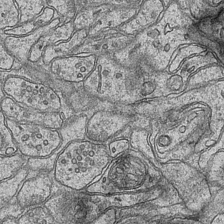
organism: Mouse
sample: CA1 Hippocampus